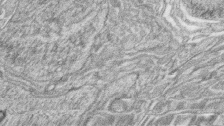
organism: Zebrafish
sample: synaptic ribbons in rod cells and cone cells